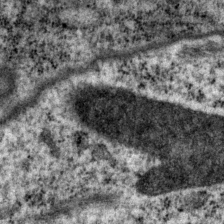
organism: P. pacificus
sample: Pharynx